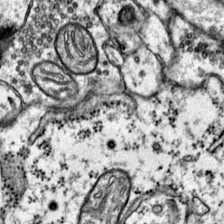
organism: Mouse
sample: Primary visual cortex